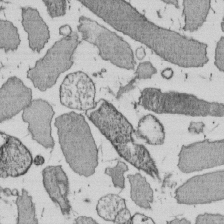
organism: E. coli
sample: Bacterial nucleoid